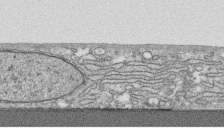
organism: Human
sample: CRL-1474